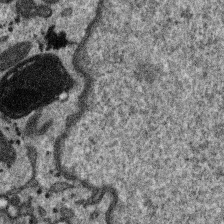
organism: Human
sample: Lung epithelial cells infected with SARS-CoV-2